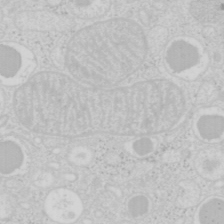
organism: Mouse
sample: Pancreas